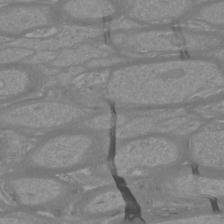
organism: Mouse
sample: Cortical neurons